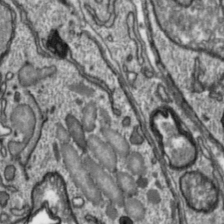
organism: Toxoplasma gondii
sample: Parasites in a vacuole inside a host cell